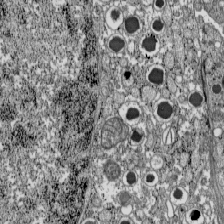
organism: C57BL Mouse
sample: Pancreatic islet